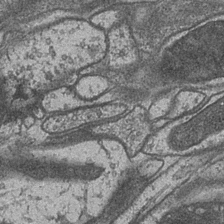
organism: Drosophila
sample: Optic medulla